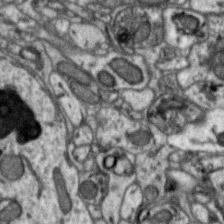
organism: Zebra finch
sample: Brain